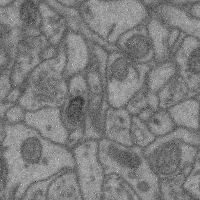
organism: Mouse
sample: Cerebral cortex